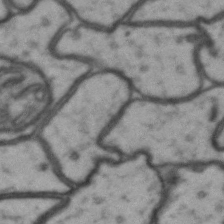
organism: Drosophila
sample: Brain